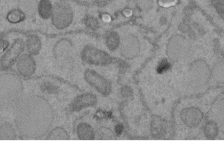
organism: C. elegans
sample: C. elegans embryo early stage